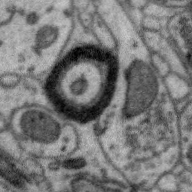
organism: Zebra finch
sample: Brain